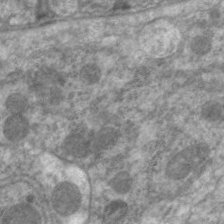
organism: C. elegans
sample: Pharynx